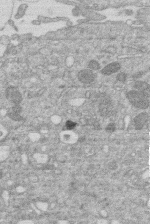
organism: Human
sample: Macrophage cells